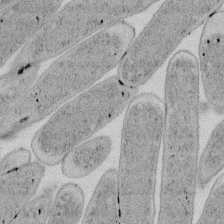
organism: E. coli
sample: Bacterial nucleoid